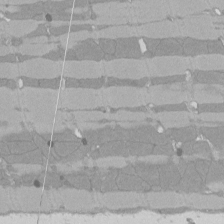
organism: Rat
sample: Left ventricle